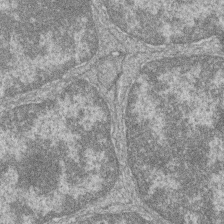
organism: Zebrafish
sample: Cilia; retinal pigment epithelium